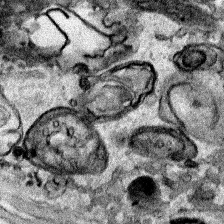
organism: Human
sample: Mitochondria in HCT116 cells